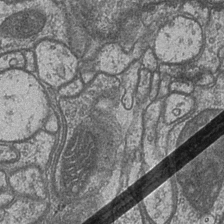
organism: Drosophila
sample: Optic medulla